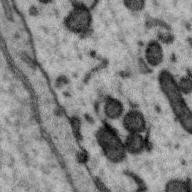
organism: Zebra finch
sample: Brain